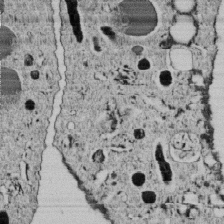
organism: C. elegans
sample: C. elegans embryo early stage